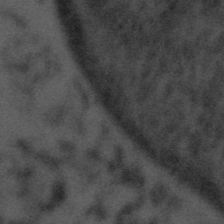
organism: Tuwongella immobilis